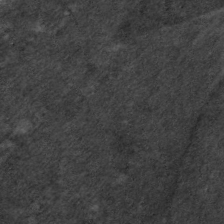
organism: C. elegans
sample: Pharynx